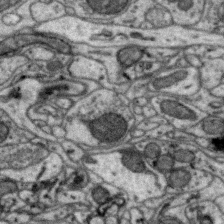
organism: Zebra finch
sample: Brain